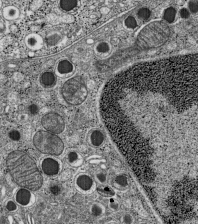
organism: C57BL Mouse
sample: Pancreatic islet